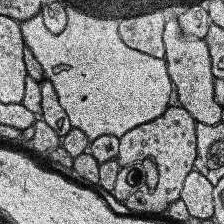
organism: Human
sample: Temporal Lobe